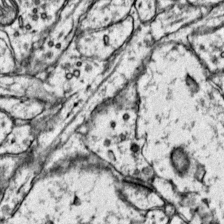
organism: Mouse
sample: Primary visual cortex